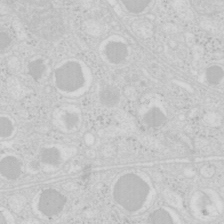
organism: Mouse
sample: Pancreas